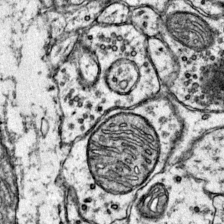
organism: Mouse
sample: Primary visual cortex